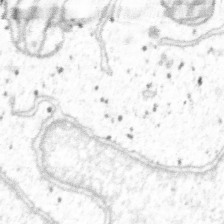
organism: Human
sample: HeLa cells